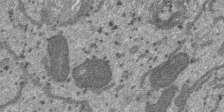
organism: Human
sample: Lung epithelial cells infected with SARS-CoV-2